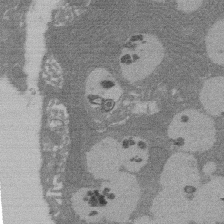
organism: Rat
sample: Salivary granule